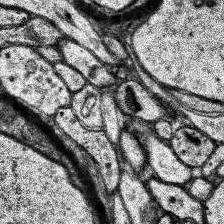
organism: Human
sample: Temporal Lobe